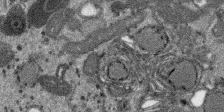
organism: Human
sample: Lung epithelial cells infected with SARS-CoV-2